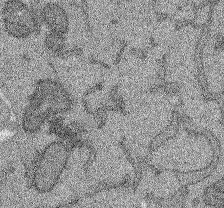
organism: Human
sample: HeLa cells